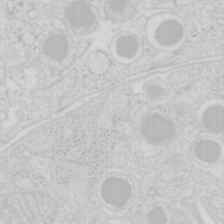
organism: Mouse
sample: Pancreas